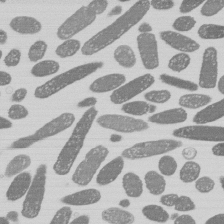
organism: E. coli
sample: Bacterial nucleoid